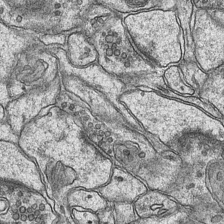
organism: Mouse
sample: CA1 Hippocampus